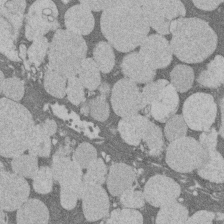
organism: Rat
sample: Salivary granule